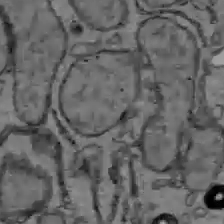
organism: C57BL Mouse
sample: Liver